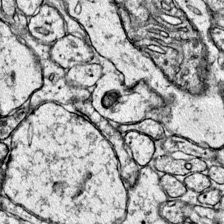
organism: Mouse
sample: Primary visual cortex